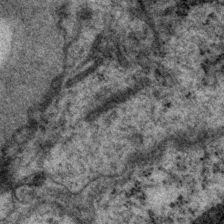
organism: P. pacificus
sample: Pharynx